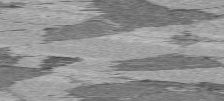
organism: C57BL Mouse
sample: Heart